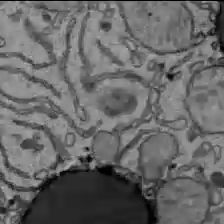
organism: C57BL Mouse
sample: Liver